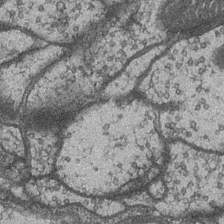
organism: Drosophila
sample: Optic medulla